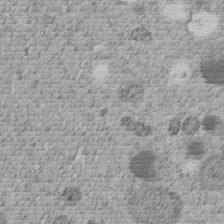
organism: C. elegans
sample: C. elegans embryo early stage